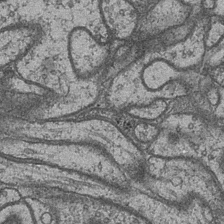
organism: Drosophila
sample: Optic medulla